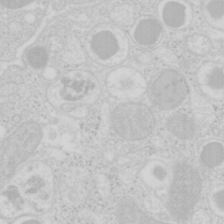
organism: Mouse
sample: Pancreas